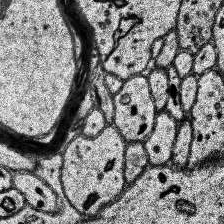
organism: Human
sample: Temporal Lobe